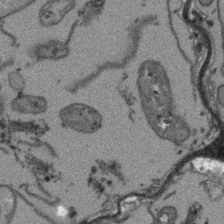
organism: Arabidopsis thaliana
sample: Root tip